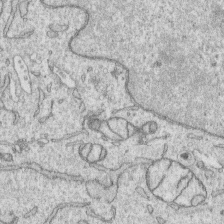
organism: Human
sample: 1205lu cells